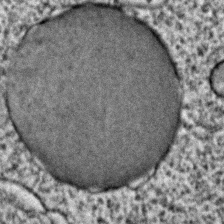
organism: C. elegans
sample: C. elegans embryo